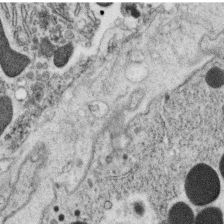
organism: C. elegans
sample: C. elegans oocyte; sperm cells